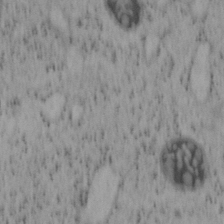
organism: Mouse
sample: OT-I killer T cells with ID8 ovarian cancer cells